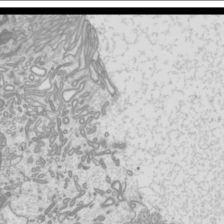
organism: Mouse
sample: Cilia; mouse epididymis